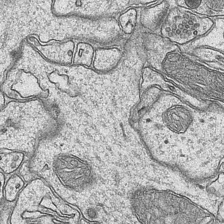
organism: Mouse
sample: CA1 Hippocampus